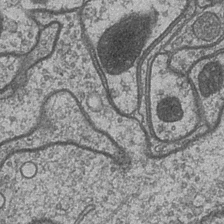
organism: Drosophila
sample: Optic medulla